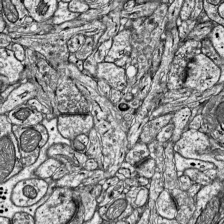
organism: Mouse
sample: Visual Cortex